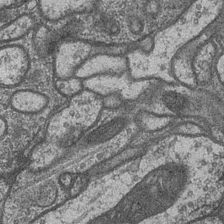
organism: Drosophila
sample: Optic medulla